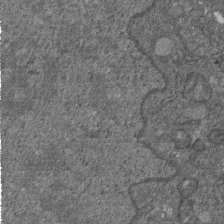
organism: Drosophila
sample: Nephrocyte